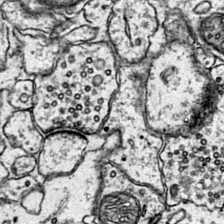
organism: Mouse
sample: Primary visual cortex